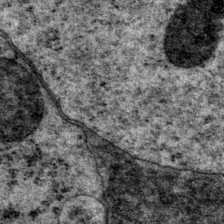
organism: P. pacificus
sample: Pharynx